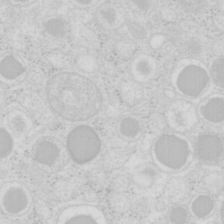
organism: Mouse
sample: Pancreas